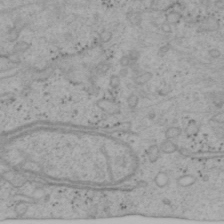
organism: Human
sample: HeLa cells